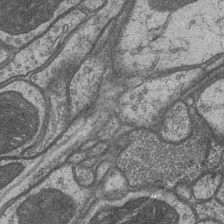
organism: Drosophila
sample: Optic medulla